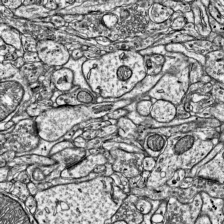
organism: Mouse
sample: Visual Cortex